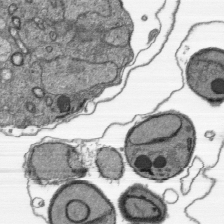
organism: Plasmodium falciparum